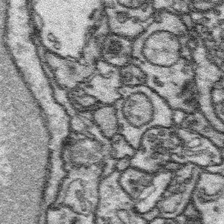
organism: Platynereis dumerilii